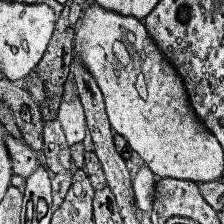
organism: Human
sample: Temporal Lobe